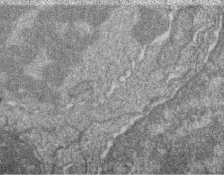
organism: Zebrafish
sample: Cilia; retinal pigment epithelium